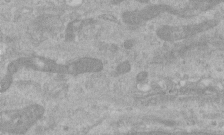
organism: Human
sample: Centriole in RPE cells